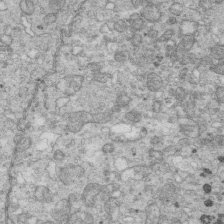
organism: Mouse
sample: Multiciliated cells